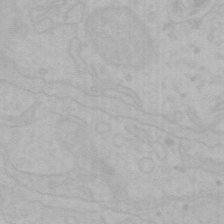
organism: Mouse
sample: Choroid plexus